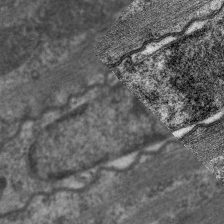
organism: C. elegans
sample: Pharynx